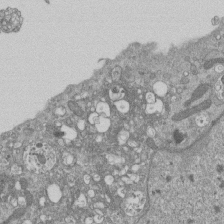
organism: Mouse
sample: ED-1 cell nuclei; centrioles